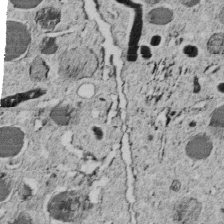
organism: C. elegans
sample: C. elegans embryo early stage